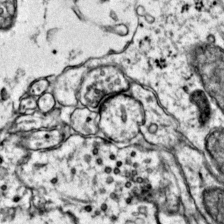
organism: Mouse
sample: Primary visual cortex